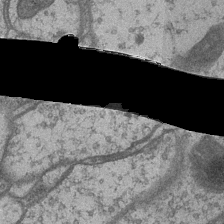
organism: Drosophila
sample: Optic medulla